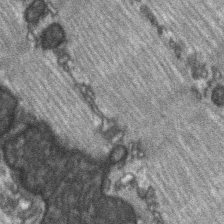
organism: C57BL Mouse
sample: Soleus